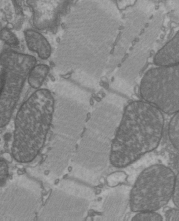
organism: C57BL Mouse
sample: Heart